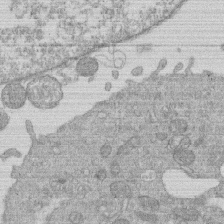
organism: Human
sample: Macrophage cells